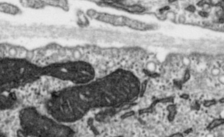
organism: Toxoplasma gondii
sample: Parasites in a vacuole inside a host cell